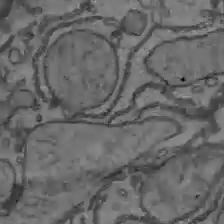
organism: C57BL Mouse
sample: Liver